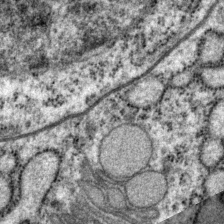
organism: P. pacificus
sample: Pharynx